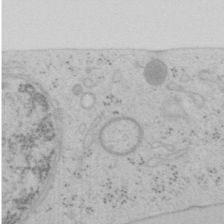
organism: Human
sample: HeLa cells